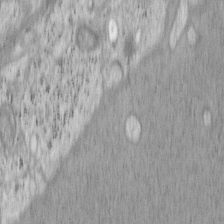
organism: Human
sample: HeLa cells